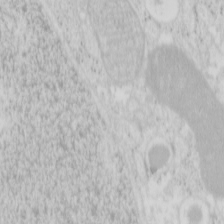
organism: Mouse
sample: Pancreas